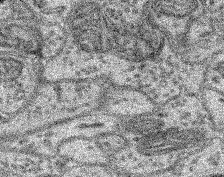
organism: Mouse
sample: Retina